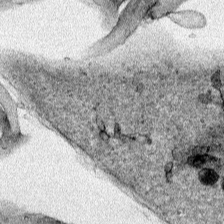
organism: Human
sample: Mitochondria in HCT116 cells